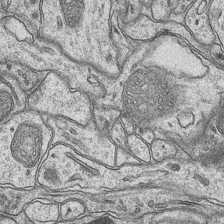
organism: Mouse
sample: CA1 Hippocampus